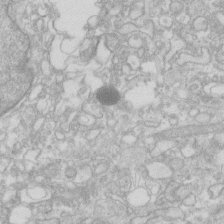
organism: Human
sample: Fibroblast cells